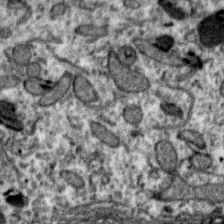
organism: Zebra finch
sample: Brain